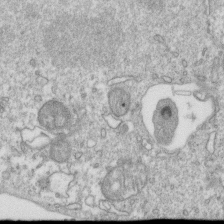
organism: Mouse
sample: Activated OT-1 CD8+ T cells